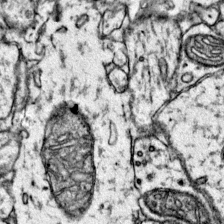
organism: Mouse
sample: Primary visual cortex